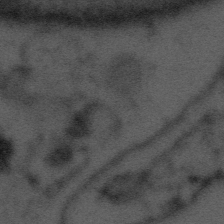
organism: Tuwongella immobilis